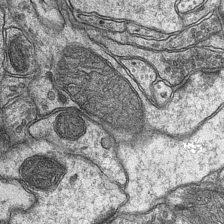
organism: Mouse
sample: CA1 Hippocampus